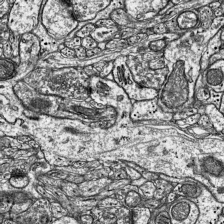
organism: Mouse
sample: Visual Cortex